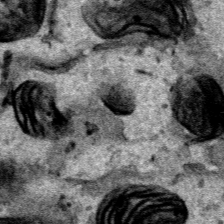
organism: Human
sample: Mitochondria in HCT116 cells